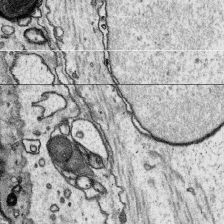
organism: Platynereis dumerilii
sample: Parapodia